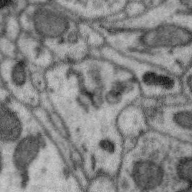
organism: Zebra finch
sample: Brain